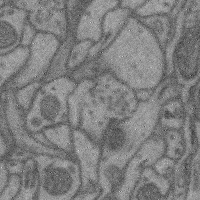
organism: Mouse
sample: Cerebral cortex